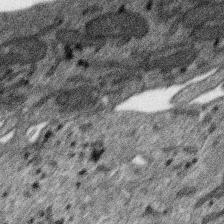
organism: Human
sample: Lung epithelial cells infected with SARS-CoV-2